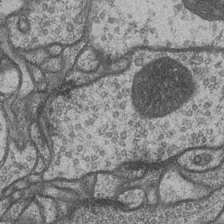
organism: Drosophila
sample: Optic medulla